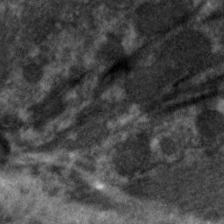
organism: C. elegans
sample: Pharynx